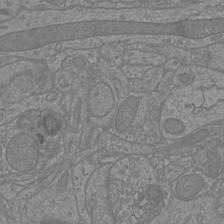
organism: Mouse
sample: Cortical neurons